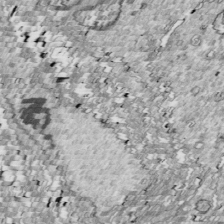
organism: Drosophila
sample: Cell division; meiosis; drosophila spermatocytes